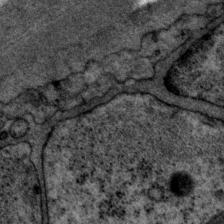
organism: P. pacificus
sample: Pharynx